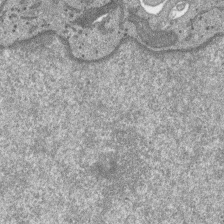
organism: Human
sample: Lung epithelial cells infected with SARS-CoV-2